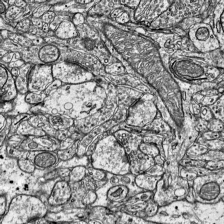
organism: Mouse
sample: Visual Cortex